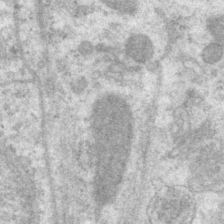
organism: P. pacificus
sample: Pharynx